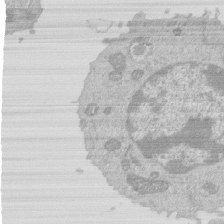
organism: Mouse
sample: Activated Pmel transgenic CD8+ T Cells